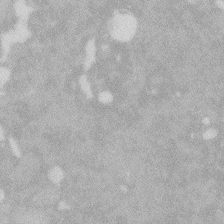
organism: Zebrafish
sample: Macrophage